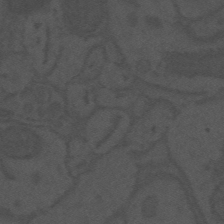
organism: Mouse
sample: Suprachiasmatic nucleus